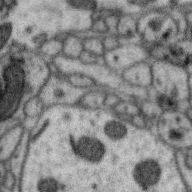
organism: Zebra finch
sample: Brain